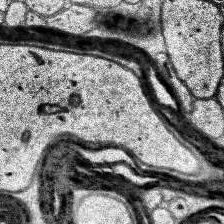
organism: Human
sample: Temporal Lobe